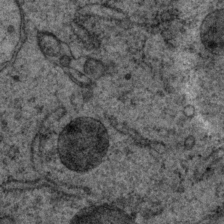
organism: P. pacificus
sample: Pharynx